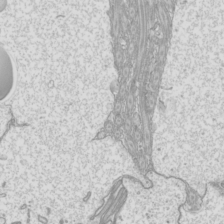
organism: Mouse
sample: Cilia; mouse epididymis